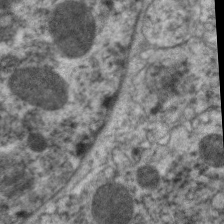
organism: C. elegans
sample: Pharynx